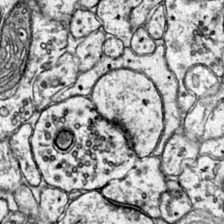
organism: Mouse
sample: Primary visual cortex